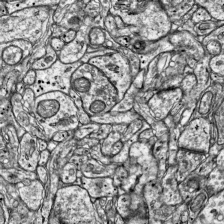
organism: Mouse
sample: Visual Cortex